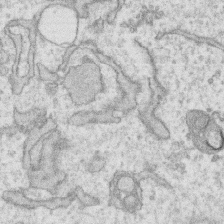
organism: Human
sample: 1205lu cells